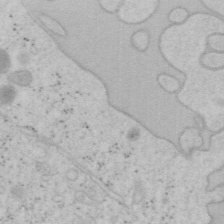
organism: Human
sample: HeLa cells